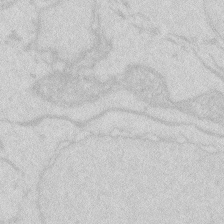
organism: Zebrafish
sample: Macrophage